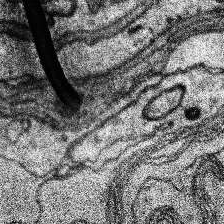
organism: Human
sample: Temporal Lobe